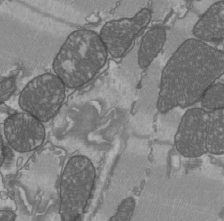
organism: C57BL Mouse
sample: Heart